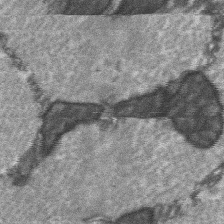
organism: C57BL Mouse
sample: Soleus